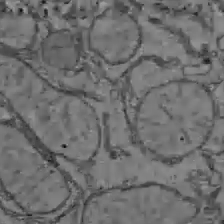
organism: C57BL Mouse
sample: Liver